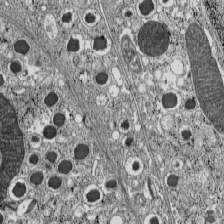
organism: C57BL Mouse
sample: Pancreatic islet